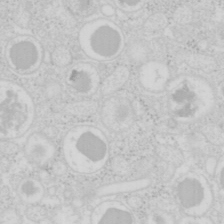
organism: Mouse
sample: Pancreas